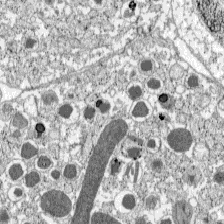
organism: C57BL Mouse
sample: Pancreatic islet